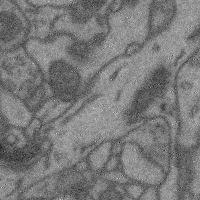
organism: Mouse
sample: Cerebral cortex